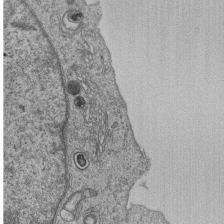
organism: Human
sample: MDA-MB-231 cells